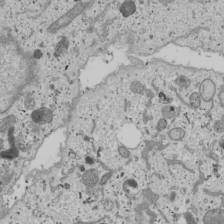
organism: Human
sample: Mitochondria in U2OS cells